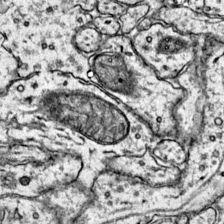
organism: Mouse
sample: Primary visual cortex